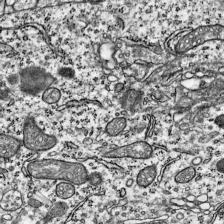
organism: Mouse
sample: Visual Cortex